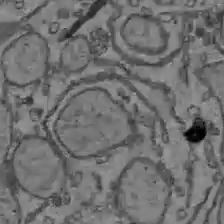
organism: C57BL Mouse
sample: Liver